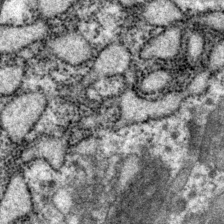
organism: P. pacificus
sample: Pharynx